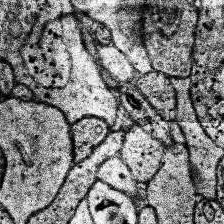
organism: Human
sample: Temporal Lobe